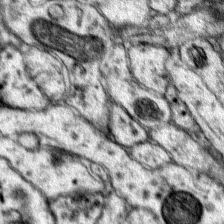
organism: Mouse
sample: Primary visual cortex